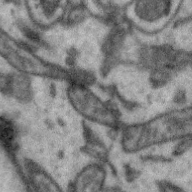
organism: Zebra finch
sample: Brain